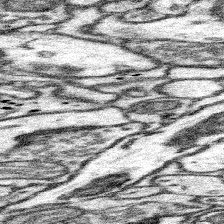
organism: Mouse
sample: Somatosensory cortex neuropil